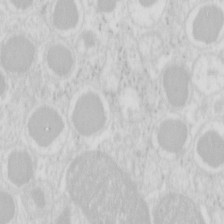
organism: Mouse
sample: Pancreas